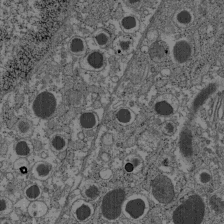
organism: C57BL Mouse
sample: Pancreatic islet